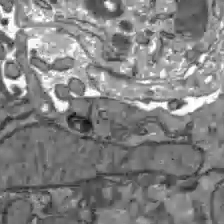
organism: C57BL Mouse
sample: Liver